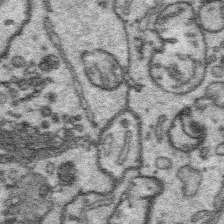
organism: Platynereis dumerilii